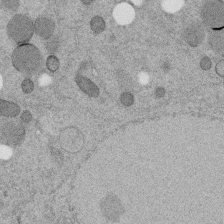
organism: C. elegans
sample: C. elegans embryo early stage